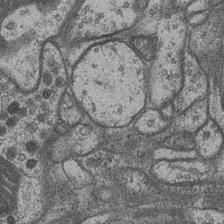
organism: Drosophila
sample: Optic medulla